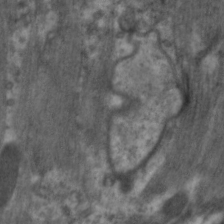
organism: C. elegans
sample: Pharynx